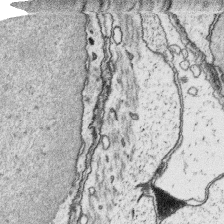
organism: Platynereis dumerilii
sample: Parapodia